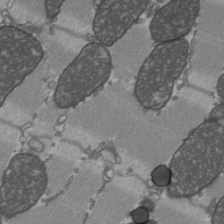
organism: C57BL Mouse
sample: Heart